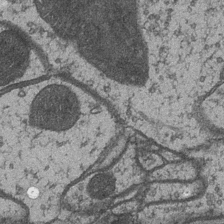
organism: Drosophila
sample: Optic medulla